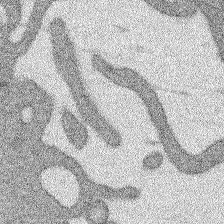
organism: Human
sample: HeLa cells